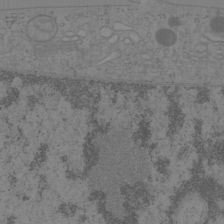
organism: Human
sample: HeLa cells